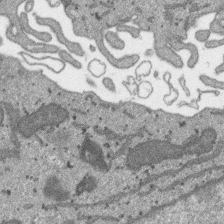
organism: Human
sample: Lung epithelial cells infected with SARS-CoV-2